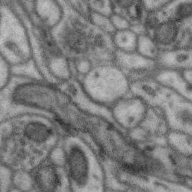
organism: Zebra finch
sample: Brain